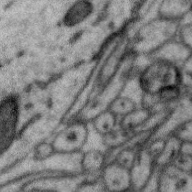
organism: Zebra finch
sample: Brain